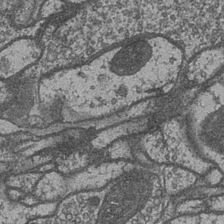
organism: Drosophila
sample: Optic medulla